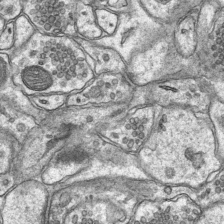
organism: Mouse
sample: CA1 Hippocampus